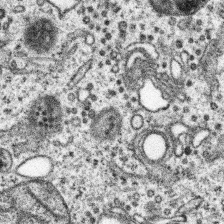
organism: Human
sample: HeLa cells